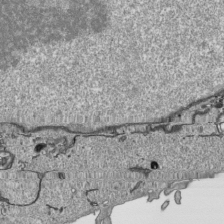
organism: Human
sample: Mitochondria in HCT116 cells